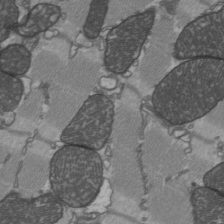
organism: C57BL Mouse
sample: Heart